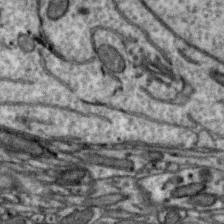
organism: Zebra finch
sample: Brain